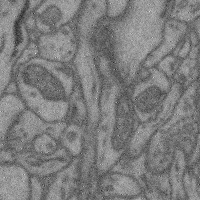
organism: Mouse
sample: Cerebral cortex